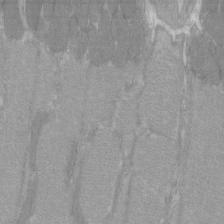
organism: C57BL Mouse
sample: Tibialis anterior muscle cell